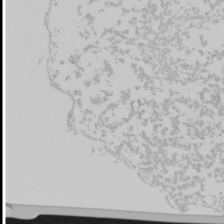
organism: Mouse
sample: Cancer cell death in ED-1 cells